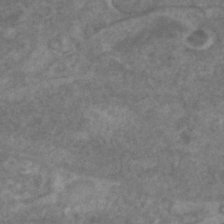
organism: C. elegans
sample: C. elegans embryo